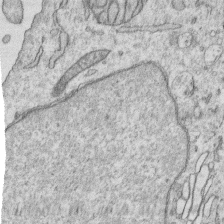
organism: Human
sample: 1205lu cells